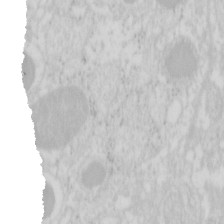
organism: Mouse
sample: Pancreas